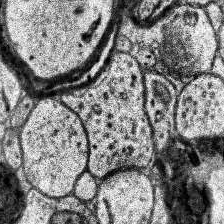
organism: Human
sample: Temporal Lobe